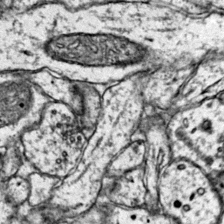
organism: Mouse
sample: Primary visual cortex